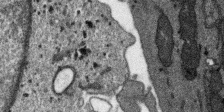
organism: Human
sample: Lung epithelial cells infected with SARS-CoV-2